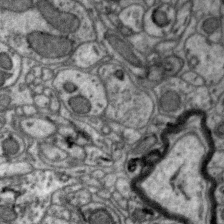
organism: Zebra finch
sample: Brain